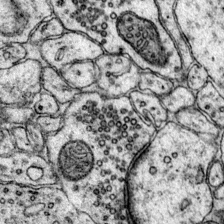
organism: Mouse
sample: Primary visual cortex